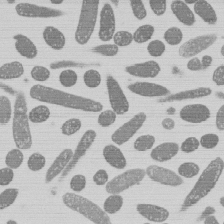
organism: E. coli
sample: Bacterial nucleoid